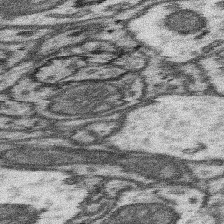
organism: Mouse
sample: Somatosensory cortex neuropil